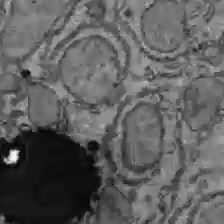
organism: C57BL Mouse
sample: Liver